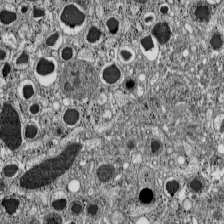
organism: C57BL Mouse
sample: Pancreatic islet